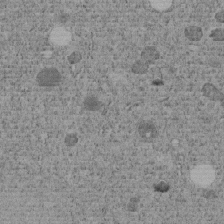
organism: C. elegans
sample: C. elegans embryo early stage